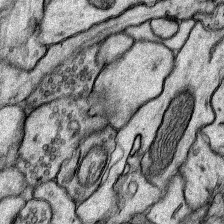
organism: Rat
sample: Hippocampus